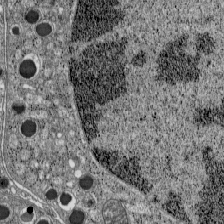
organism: C57BL Mouse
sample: Pancreatic islet